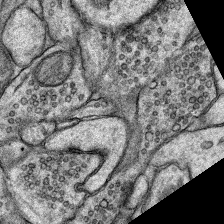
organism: Rat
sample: Hippocampus